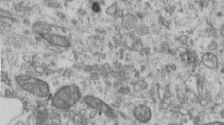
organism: Human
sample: Centriole in RPE cells